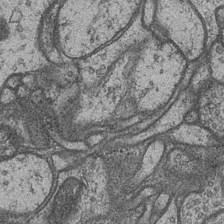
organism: Drosophila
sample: Optic medulla